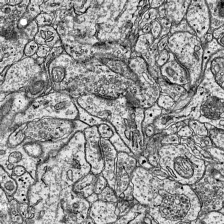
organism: Mouse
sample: Visual Cortex